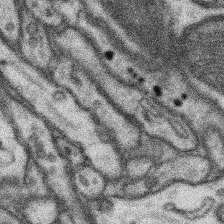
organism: Mouse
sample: Somatosensory cortex neuropil